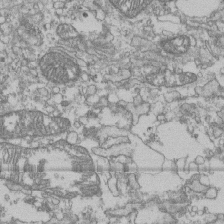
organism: Human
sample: Fibroblast cells